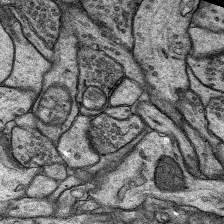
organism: Rat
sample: Hippocampus